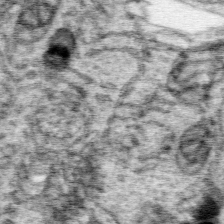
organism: Human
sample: HeLa cells